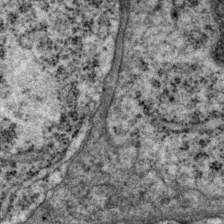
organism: P. pacificus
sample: Pharynx